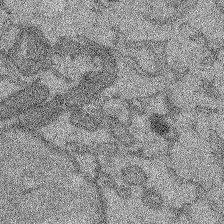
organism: Human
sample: HeLa cells